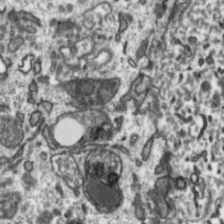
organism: Toxoplasma gondii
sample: Parasites in a vacuole inside a host cell